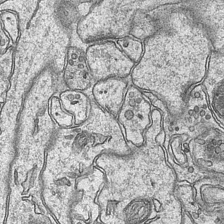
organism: Mouse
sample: CA1 Hippocampus